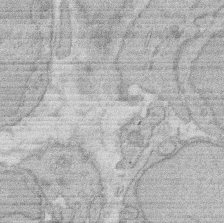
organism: Rat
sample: Salivary granule